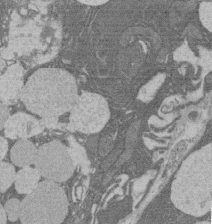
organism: Rat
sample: Salivary granule